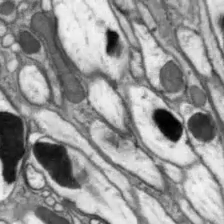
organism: Drosophila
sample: Optic lobe